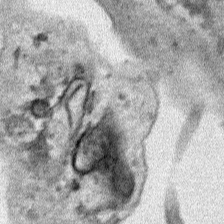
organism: Human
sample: Mitochondria in HCT116 cells